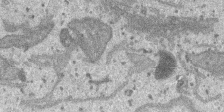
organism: Human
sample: Lung epithelial cells infected with SARS-CoV-2